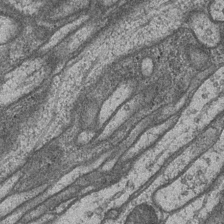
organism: Drosophila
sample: Optic medulla